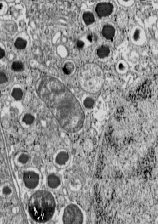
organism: C57BL Mouse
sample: Pancreatic islet